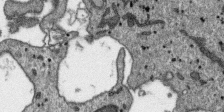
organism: Human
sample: Lung epithelial cells, uninfected (mock) control